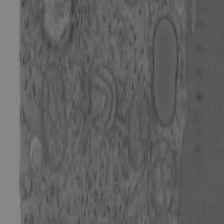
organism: Human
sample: HeLa cells